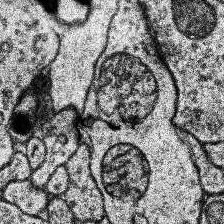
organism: Human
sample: Temporal Lobe